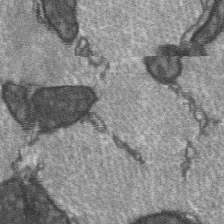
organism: C57BL Mouse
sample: Soleus